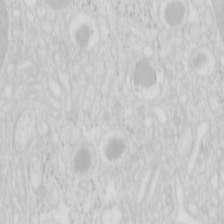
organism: Mouse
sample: Pancreas